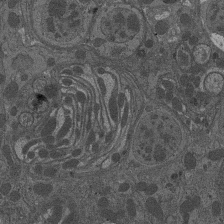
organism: Drosophila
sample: Antenna